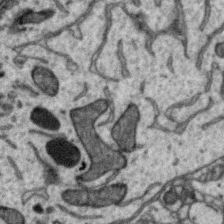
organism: Zebra finch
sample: Brain